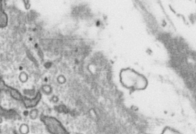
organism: Toxoplasma gondii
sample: Parasites in a vacuole inside a host cell